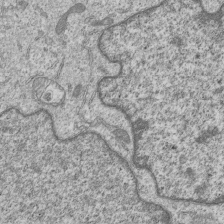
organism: Human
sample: MDA-MB-231 cells